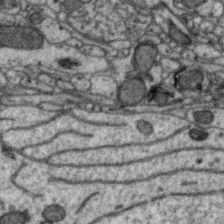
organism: Zebra finch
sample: Brain